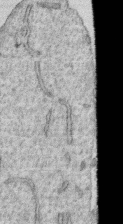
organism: Human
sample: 1205lu cells